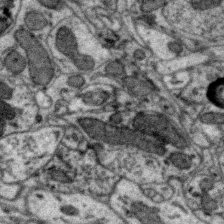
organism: Zebra finch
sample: Brain